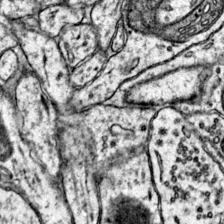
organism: Mouse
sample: Primary visual cortex